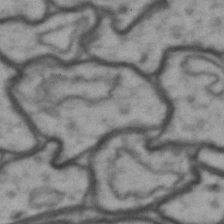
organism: Drosophila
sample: Brain